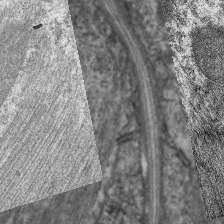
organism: C. elegans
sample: Pharynx